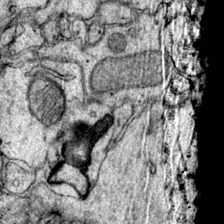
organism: Mouse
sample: Primary visual cortex